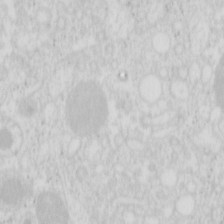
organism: Mouse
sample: Pancreas